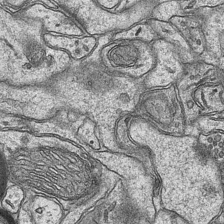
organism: Mouse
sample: CA1 Hippocampus